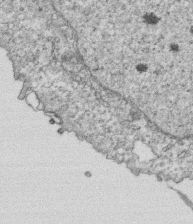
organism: Human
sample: HeLa cell HIV synapse